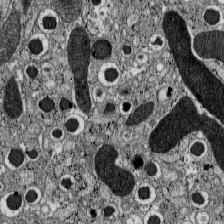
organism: C57BL Mouse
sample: Pancreatic islet